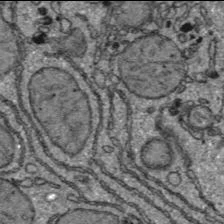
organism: C57BL Mouse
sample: Liver